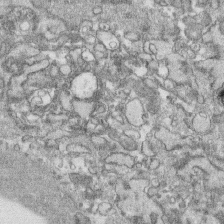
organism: Human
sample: CRL-1474